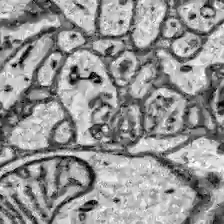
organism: Zebrafish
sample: Brain